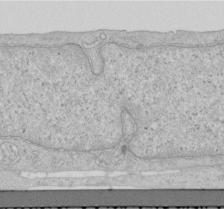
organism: Human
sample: Centriole in RPE cells